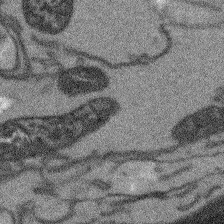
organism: Arabidopsis thaliana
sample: Root tip